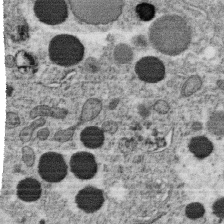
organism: C. elegans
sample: C. elegans oocyte; sperm cells